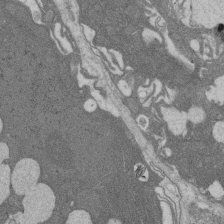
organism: Rat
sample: Salivary granule